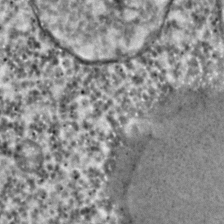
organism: C. elegans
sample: C. elegans embryo